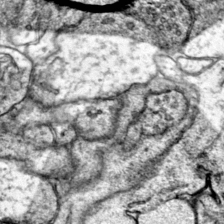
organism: Mouse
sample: Primary visual cortex